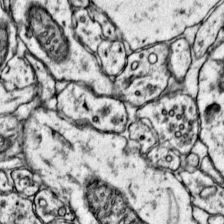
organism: Mouse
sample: Primary visual cortex